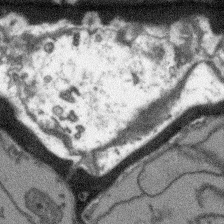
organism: Arabidopsis thaliana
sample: Root tip